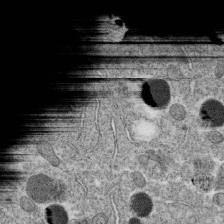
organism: C. elegans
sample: C. elegans oocyte; sperm cells